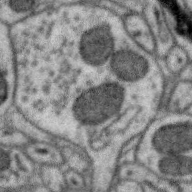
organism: Zebra finch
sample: Brain